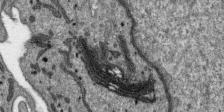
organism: Human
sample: Lung epithelial cells, uninfected (mock) control